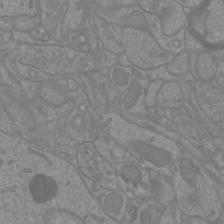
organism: Mouse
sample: Cortical neurons